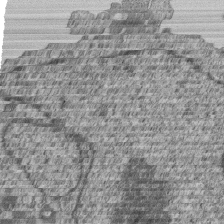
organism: Human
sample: MDA-MB-231 cells